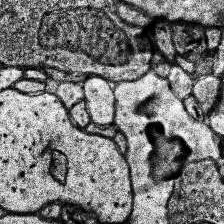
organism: Human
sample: Temporal Lobe